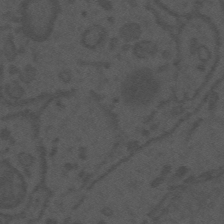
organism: Mouse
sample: Suprachiasmatic nucleus